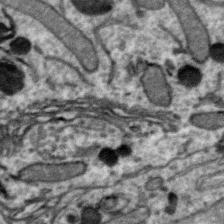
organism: Zebra finch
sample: Brain